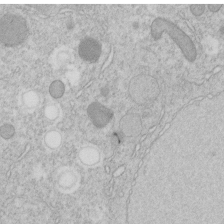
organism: C. elegans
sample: C. elegans embryo early stage